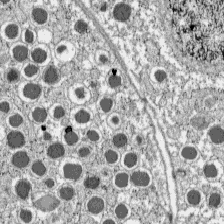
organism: C57BL Mouse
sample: Pancreatic islet